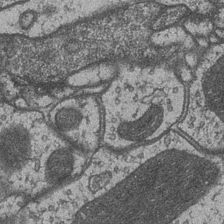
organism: Drosophila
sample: Optic medulla